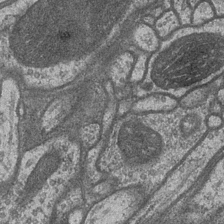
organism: Drosophila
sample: Optic medulla